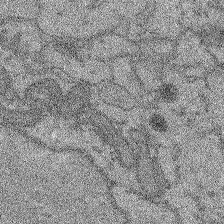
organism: Human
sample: HeLa cells